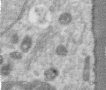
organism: Human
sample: Centriole in RPE cells